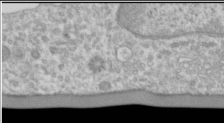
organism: Human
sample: Cilia; basal body in RPE cells